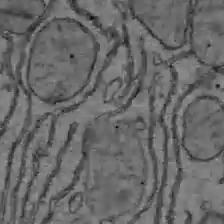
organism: C57BL Mouse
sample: Liver